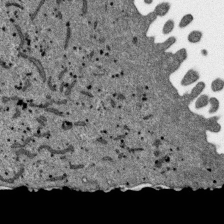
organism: Human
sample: Lung epithelial cells, uninfected (mock) control